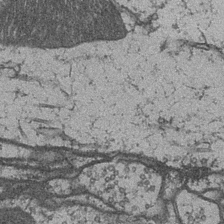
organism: Drosophila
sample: Optic medulla